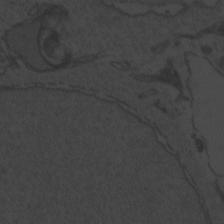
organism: Zebrafish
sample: Macrophage infected with Toxoplasma gondii